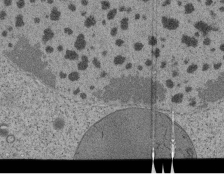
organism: Tetrahymena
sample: Cilia in tetrahymena